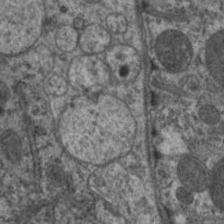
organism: C. elegans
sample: Pharynx